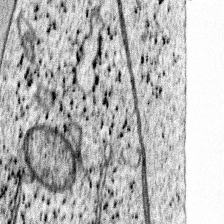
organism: Human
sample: HeLa cells